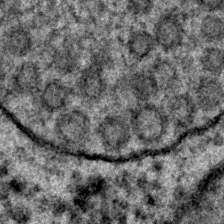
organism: C. elegans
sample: C. elegans embryo